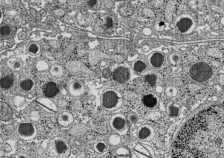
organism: C57BL Mouse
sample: Pancreatic islet